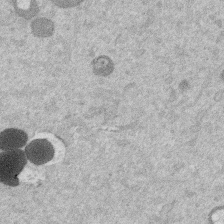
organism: Mouse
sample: Dividing mouse embryo 1 cell stage